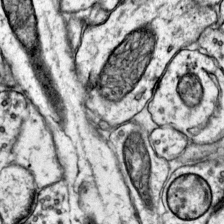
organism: Mouse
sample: Primary visual cortex